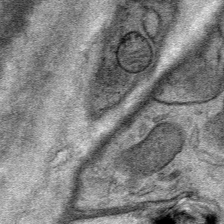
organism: Mouse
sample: Mouse Salivary gland